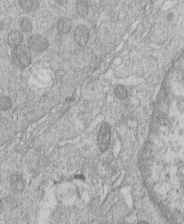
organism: Human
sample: Macrophage cells